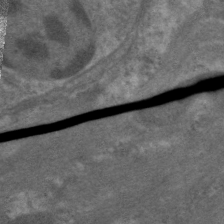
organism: C. elegans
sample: Pharynx